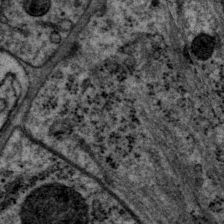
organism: P. pacificus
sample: Pharynx